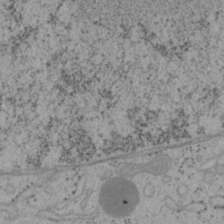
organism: Human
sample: HeLa cells